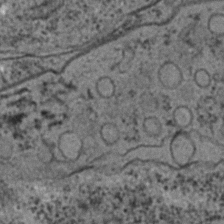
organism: C. elegans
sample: C. elegans embryo